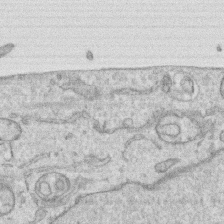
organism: Human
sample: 1205lu cells